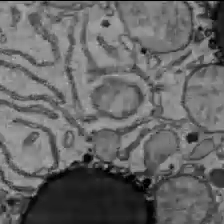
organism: C57BL Mouse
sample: Liver